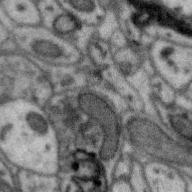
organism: Zebra finch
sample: Brain